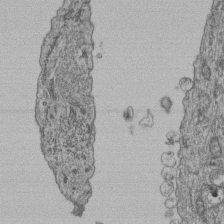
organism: Human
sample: Retinal organoid Rod and Cone cells